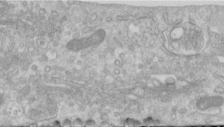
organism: Human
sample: Centriole in RPE cells